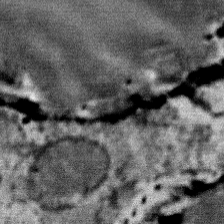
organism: Mouse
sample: Mouse Salivary gland